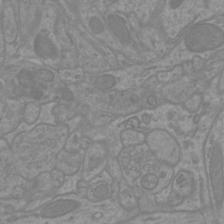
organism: Mouse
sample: Cortical neurons